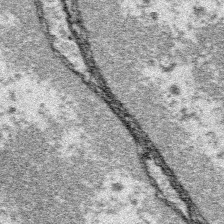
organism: Platynereis dumerilii